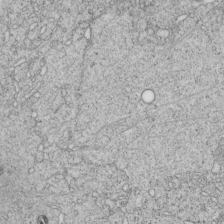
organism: C. elegans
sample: C. elegans embryo early stage